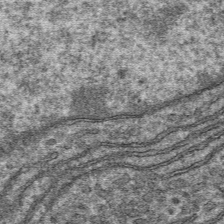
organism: Mouse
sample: Mouse hepatocytes